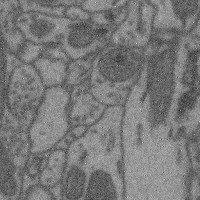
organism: Mouse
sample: Cerebral cortex